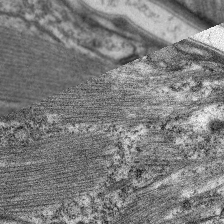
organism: C. elegans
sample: Pharynx